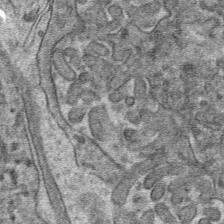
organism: Mouse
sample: Mouse hepatocytes